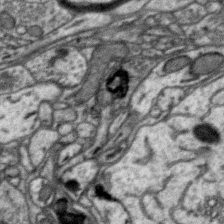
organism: Zebra finch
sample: Brain